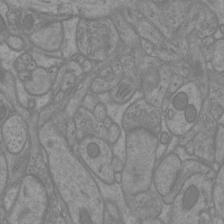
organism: Mouse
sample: Cortical neurons